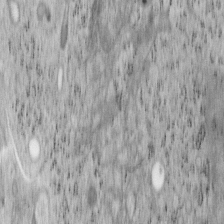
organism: Human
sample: HeLa cells